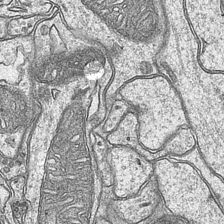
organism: Mouse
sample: CA1 Hippocampus